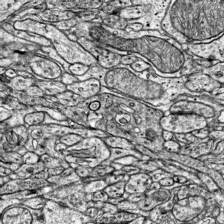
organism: Mouse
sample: Visual Cortex